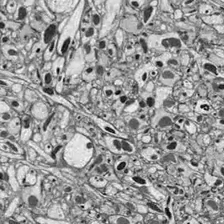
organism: Drosophila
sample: Optic lobe